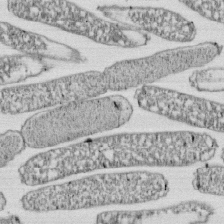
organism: E. coli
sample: Bacterial nucleoid